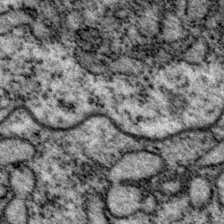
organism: P. pacificus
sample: Pharynx